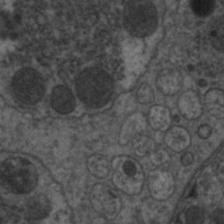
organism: C. elegans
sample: Pharynx